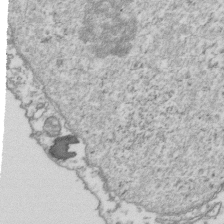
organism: Human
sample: Activated Jurkat CD4+ T cells